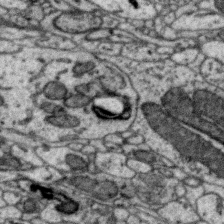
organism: Zebra finch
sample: Brain